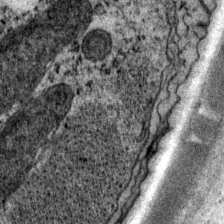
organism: P. pacificus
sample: Pharynx